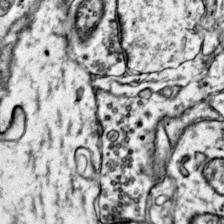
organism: Mouse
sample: Primary visual cortex